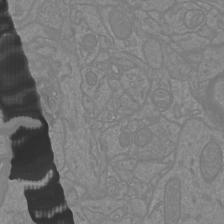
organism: Mouse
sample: Cortical neurons